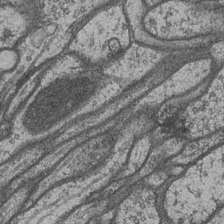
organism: Drosophila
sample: Optic medulla